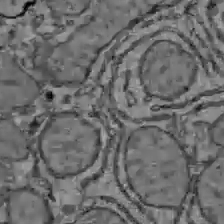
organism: C57BL Mouse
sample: Liver